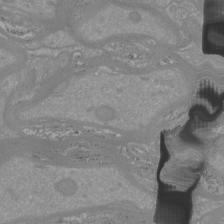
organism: Mouse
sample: Cortical neurons